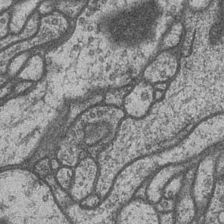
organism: Drosophila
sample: Optic medulla